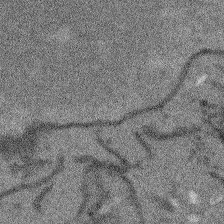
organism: Arabidopsis thaliana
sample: Root tip